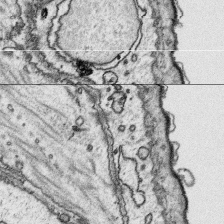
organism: Platynereis dumerilii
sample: Parapodia